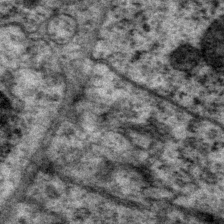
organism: P. pacificus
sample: Pharynx